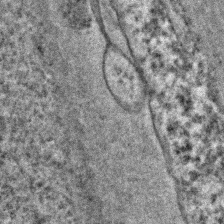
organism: C. elegans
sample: C. elegans embryo